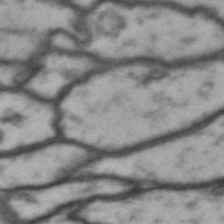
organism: Drosophila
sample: Brain